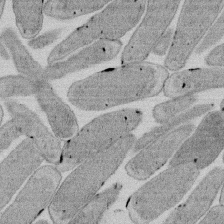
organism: E. coli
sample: Bacterial nucleoid